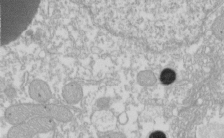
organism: Xenopus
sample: Cilia; centrioles in frog embryo cells